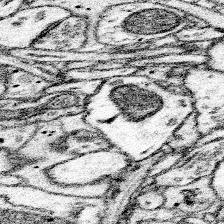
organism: Mouse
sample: Somatosensory cortex neuropil